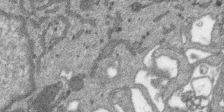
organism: Human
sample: Lung epithelial cells infected with SARS-CoV-2